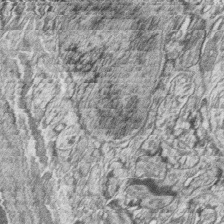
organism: Zebrafish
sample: synaptic ribbons in rod cells and cone cells